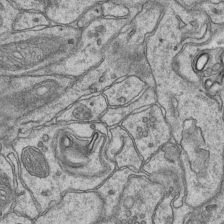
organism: Mouse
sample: CA1 Hippocampus